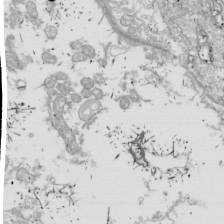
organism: Drosophila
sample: Cell division; meiosis; drosophila spermatocytes